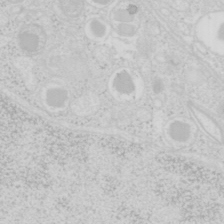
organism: Mouse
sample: Pancreas